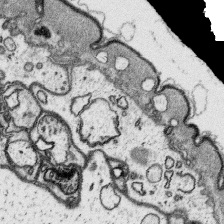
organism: Platynereis dumerilii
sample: Parapodia